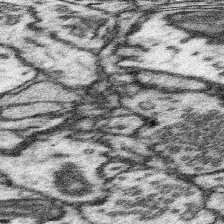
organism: Mouse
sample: Somatosensory cortex neuropil